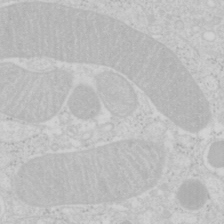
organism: Mouse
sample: Pancreas